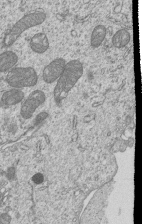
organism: Human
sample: MDA-MB-231 cells